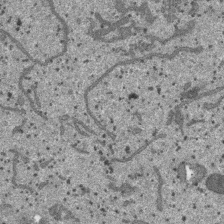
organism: Human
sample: Lung epithelial cells infected with SARS-CoV-2